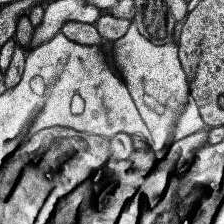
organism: Human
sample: Temporal Lobe